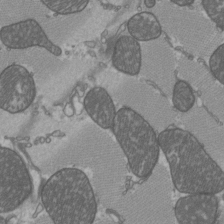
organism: C57BL Mouse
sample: Heart